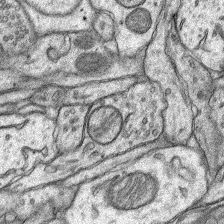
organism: Rat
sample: Hippocampus